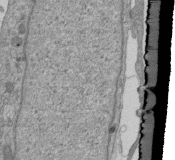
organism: Mouse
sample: ED-1 cell nuclei; centrioles